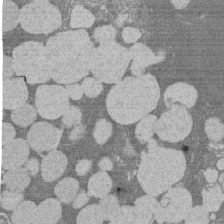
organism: Rat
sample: Salivary granule